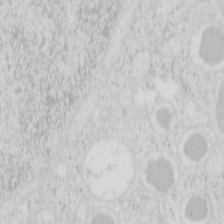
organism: Mouse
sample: Pancreas